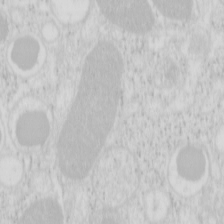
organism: Mouse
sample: Pancreas